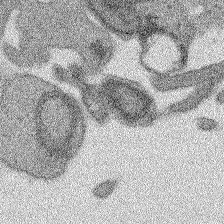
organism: Human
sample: HeLa cells